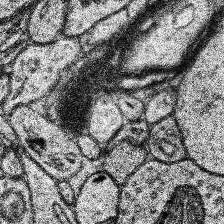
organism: Human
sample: Temporal Lobe